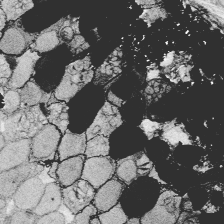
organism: Zebrafish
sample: Whole-Brain